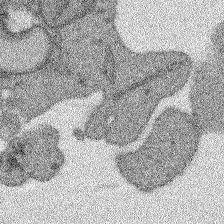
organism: Human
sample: HeLa cells